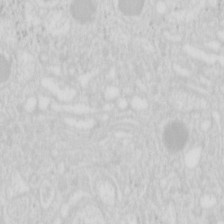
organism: Mouse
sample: Pancreas